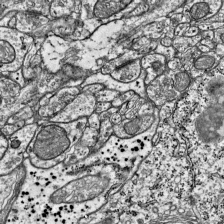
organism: Mouse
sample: Visual Cortex